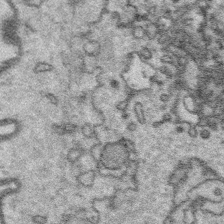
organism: Platynereis dumerilii